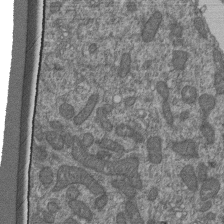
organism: Human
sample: Retinal organoid Rod and Cone cells